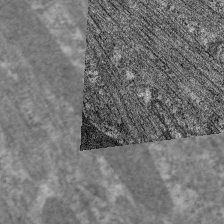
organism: C. elegans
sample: Pharynx